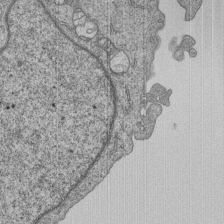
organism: Human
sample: MDA-MB-231 cells